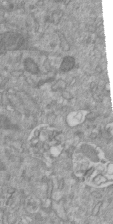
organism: Mouse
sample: ED-1 cell nuclei; centrioles